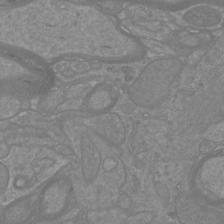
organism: Mouse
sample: Cortical neurons